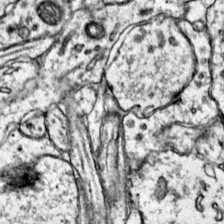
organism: Mouse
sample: Primary visual cortex